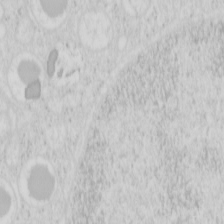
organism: Mouse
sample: Pancreas